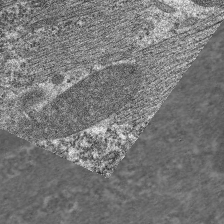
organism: C. elegans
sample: Pharynx